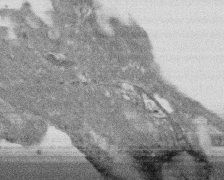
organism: Human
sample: CRL-1474